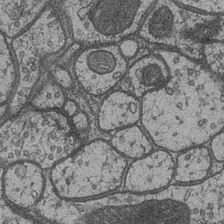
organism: Drosophila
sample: Optic medulla